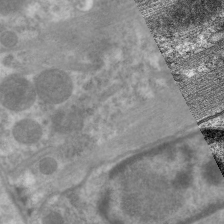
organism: C. elegans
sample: Pharynx